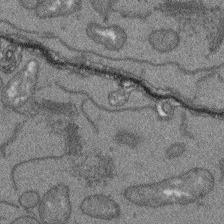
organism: Arabidopsis thaliana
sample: Root tip